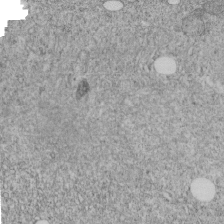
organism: C. elegans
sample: C. elegans embryo early stage